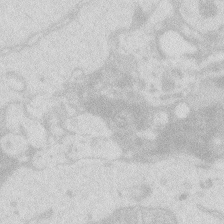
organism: Zebrafish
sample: Macrophage